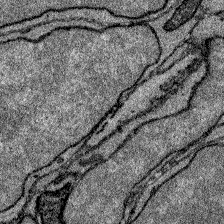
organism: Zebrafish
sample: Larval olfactory bulb